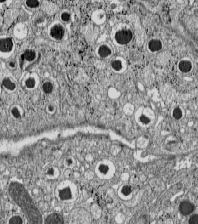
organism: C57BL Mouse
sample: Pancreatic islet